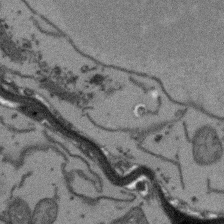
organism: Arabidopsis thaliana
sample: Root tip